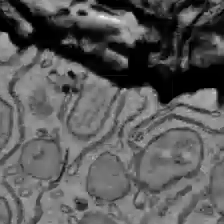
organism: C57BL Mouse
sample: Liver